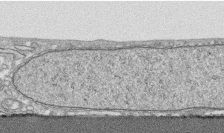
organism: Human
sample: CRL-1474